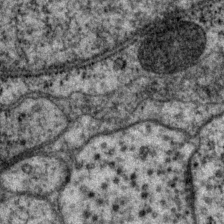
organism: P. pacificus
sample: Pharynx